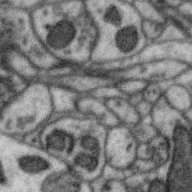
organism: Zebra finch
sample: Brain